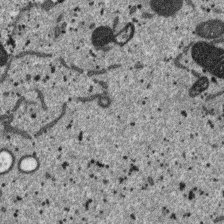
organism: Human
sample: Lung epithelial cells infected with SARS-CoV-2